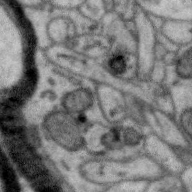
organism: Zebra finch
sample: Brain